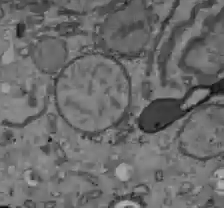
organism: C57BL Mouse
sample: Liver